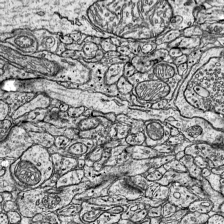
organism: Mouse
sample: Visual Cortex